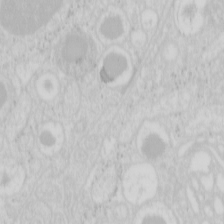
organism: Mouse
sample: Pancreas